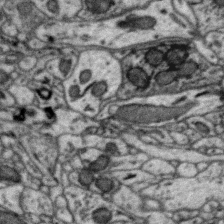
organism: Zebra finch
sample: Brain